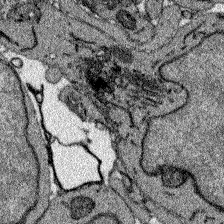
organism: Zebrafish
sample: Larval olfactory bulb